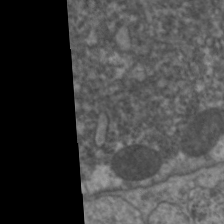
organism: C. elegans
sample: Pharynx